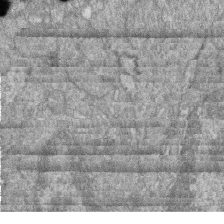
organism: Zebrafish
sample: Cilia; retinal pigment epithelium